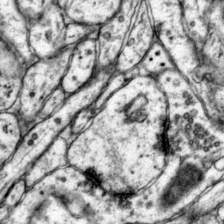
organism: Mouse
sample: Primary visual cortex